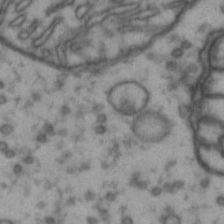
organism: Drosophila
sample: Brain